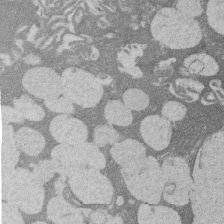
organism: Rat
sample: Salivary granule